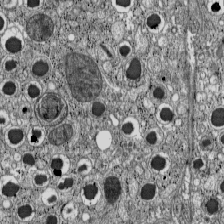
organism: C57BL Mouse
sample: Pancreatic islet